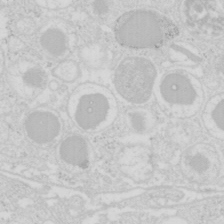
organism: Mouse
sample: Pancreas